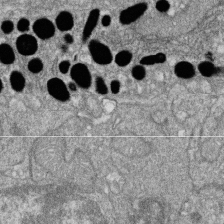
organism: Zebrafish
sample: Cilia; retinal pigment epithelium